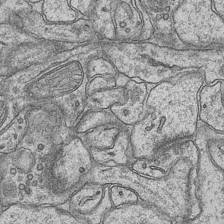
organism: Mouse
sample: CA1 Hippocampus